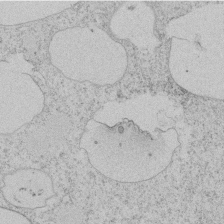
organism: Tetrahymena